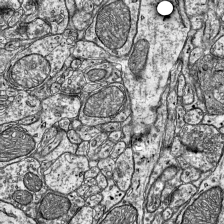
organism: Mouse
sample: Visual Cortex